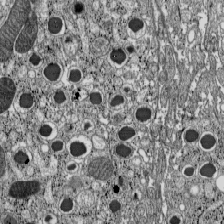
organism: C57BL Mouse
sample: Pancreatic islet